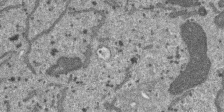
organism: Human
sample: Lung epithelial cells infected with SARS-CoV-2